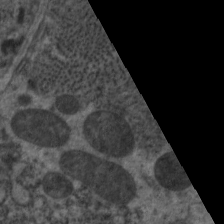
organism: C. elegans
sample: Pharynx